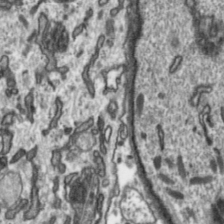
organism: Toxoplasma gondii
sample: Parasites in a vacuole inside a host cell